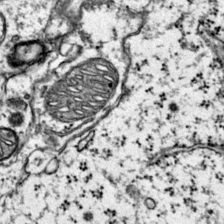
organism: Mouse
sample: Primary visual cortex